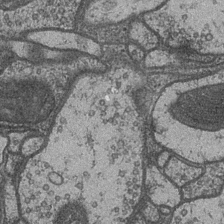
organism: Drosophila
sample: Optic medulla